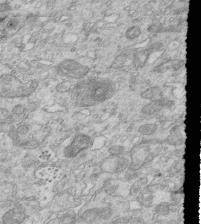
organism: Mouse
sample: Multiciliated cells